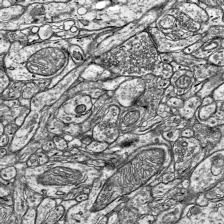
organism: Mouse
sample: Visual Cortex